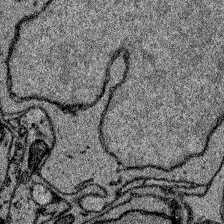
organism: Zebrafish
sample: Larval olfactory bulb